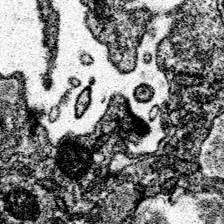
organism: Spongilla lacustris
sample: Neuroid cell